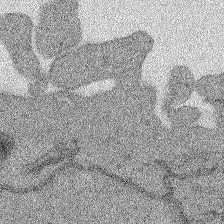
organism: Human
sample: HeLa cells